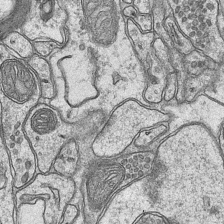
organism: Mouse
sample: CA1 Hippocampus